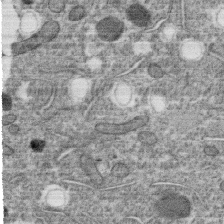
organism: C. elegans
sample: C. elegans oocyte; sperm cells